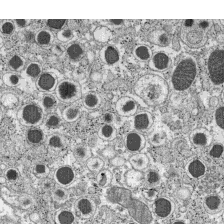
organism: C57BL Mouse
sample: Pancreatic islet